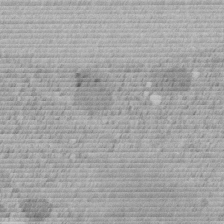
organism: C. elegans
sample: C. elegans embryo early stage